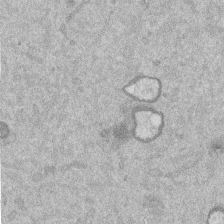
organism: Mouse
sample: Dividing mouse embryo 1 cell stage